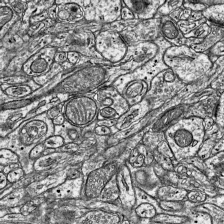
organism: Mouse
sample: Visual Cortex